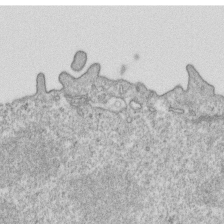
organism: Mouse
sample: Activated OT-1 CD8+ T cells